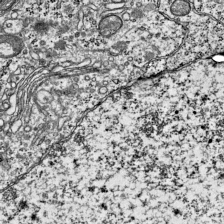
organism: Mouse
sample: Visual Cortex